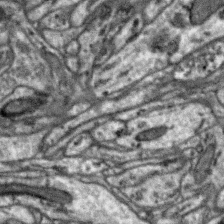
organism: Zebra finch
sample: Brain